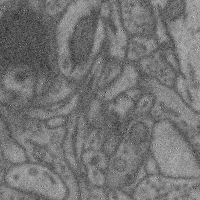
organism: Mouse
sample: Cerebral cortex